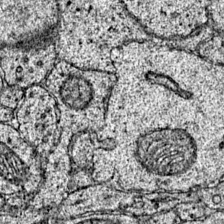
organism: Mouse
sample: Primary visual cortex